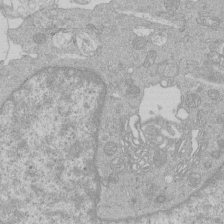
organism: Human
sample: Macrophage cells